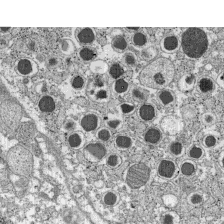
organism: C57BL Mouse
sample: Pancreatic islet